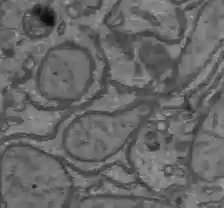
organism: C57BL Mouse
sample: Liver